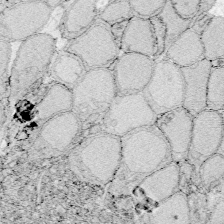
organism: Zebrafish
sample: Whole-Brain